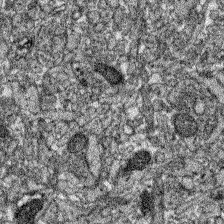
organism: Zebrafish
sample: Larval olfactory bulb